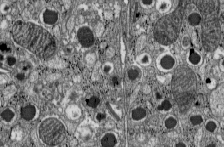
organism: C57BL Mouse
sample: Pancreatic islet